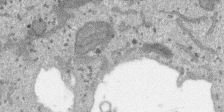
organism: Human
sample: Lung epithelial cells infected with SARS-CoV-2